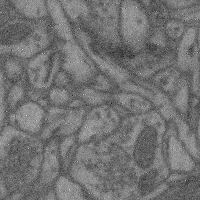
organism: Mouse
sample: Cerebral cortex